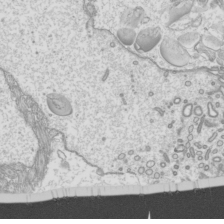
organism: Mouse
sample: Cilia; mouse epididymis